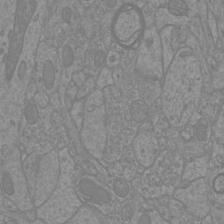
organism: Mouse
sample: Cortical neurons